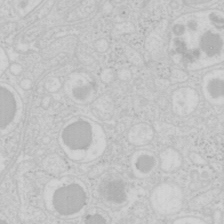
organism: Mouse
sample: Pancreas